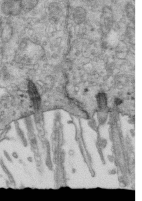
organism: Mouse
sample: Multiciliated cells